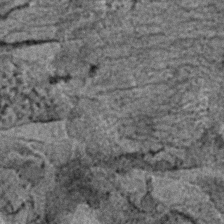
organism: C. elegans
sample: C. elegans embryo